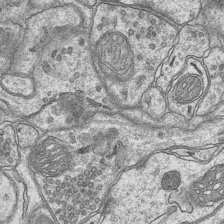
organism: Mouse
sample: CA1 Hippocampus